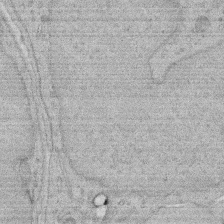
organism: Rat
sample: Salivary granule